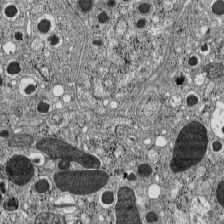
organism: C57BL Mouse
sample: Pancreatic islet